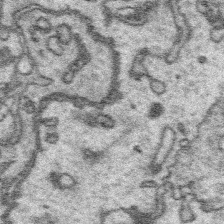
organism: Platynereis dumerilii